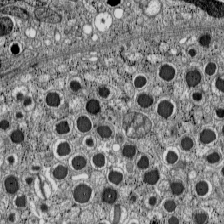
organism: C57BL Mouse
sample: Pancreatic islet